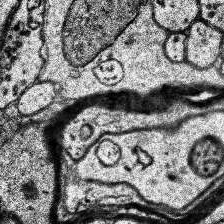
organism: Human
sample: Temporal Lobe